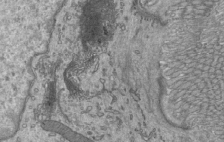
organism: Mouse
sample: Mouse epididymis efferent ductule cilia